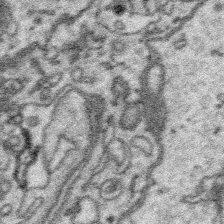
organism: Platynereis dumerilii